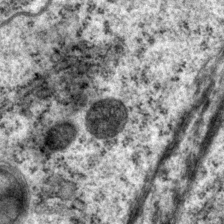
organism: P. pacificus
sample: Pharynx